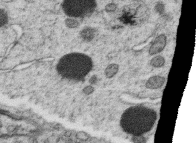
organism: C. elegans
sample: C. elegans oocyte; sperm cells